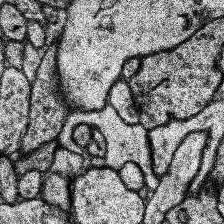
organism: Human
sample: Temporal Lobe